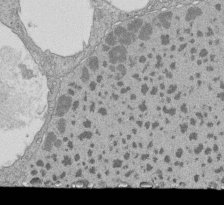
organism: Tetrahymena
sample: Cilia in tetrahymena